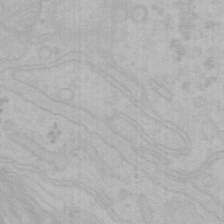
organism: Mouse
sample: Choroid plexus